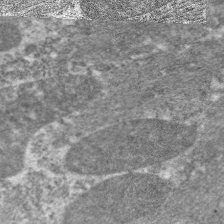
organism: C. elegans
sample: Pharynx